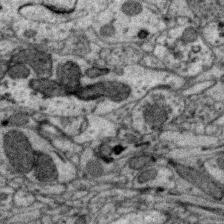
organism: Zebra finch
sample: Brain